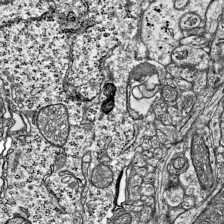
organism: Mouse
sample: Visual Cortex